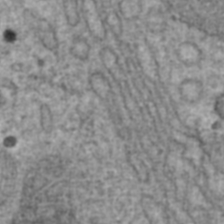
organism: Human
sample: Blood